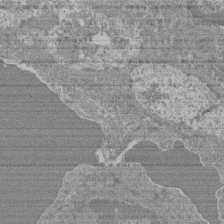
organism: Mouse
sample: Glomerulus